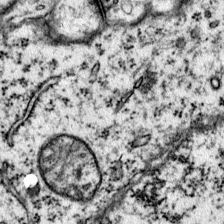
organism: Mouse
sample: Primary visual cortex